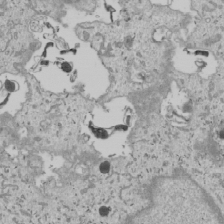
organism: Human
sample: Mitochondria in U2OS cells